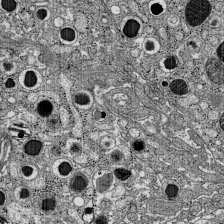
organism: C57BL Mouse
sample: Pancreatic islet